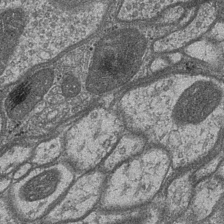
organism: Drosophila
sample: Optic medulla